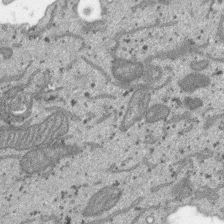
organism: Human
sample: Lung epithelial cells infected with SARS-CoV-2